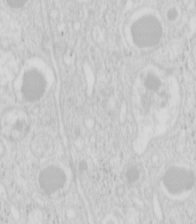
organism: Mouse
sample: Pancreas